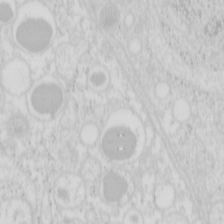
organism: Mouse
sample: Pancreas